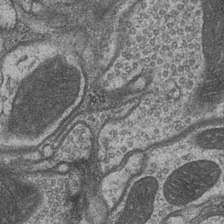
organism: Drosophila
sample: Optic medulla